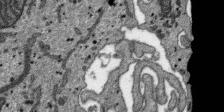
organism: Human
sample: Lung epithelial cells, uninfected (mock) control